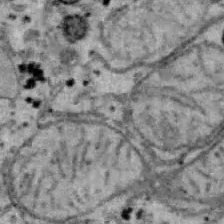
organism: Mouse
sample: Liver from an obese (ob/ob) mouse